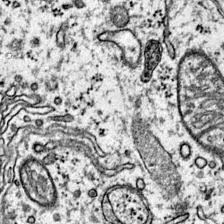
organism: Mouse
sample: Primary visual cortex